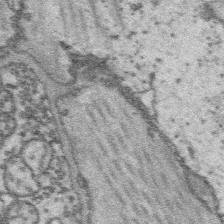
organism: Platynereis dumerilii